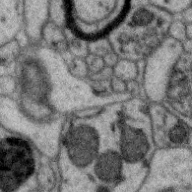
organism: Zebra finch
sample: Brain